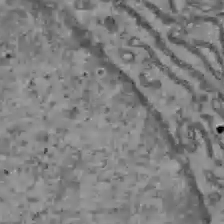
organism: C57BL Mouse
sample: Liver